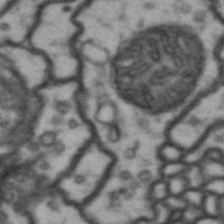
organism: Drosophila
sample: Brain